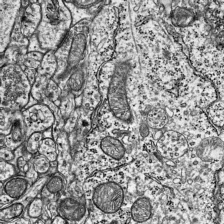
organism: Mouse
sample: Visual Cortex